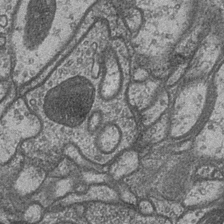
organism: Drosophila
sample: Optic medulla